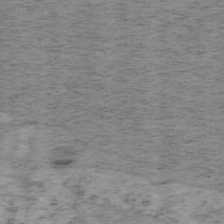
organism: Mouse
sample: OT-I killer T cells with ID8 ovarian cancer cells